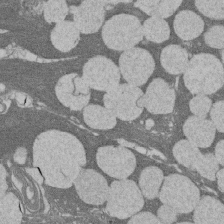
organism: Rat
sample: Salivary granule